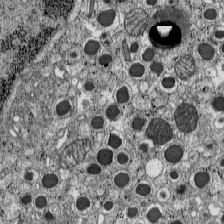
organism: C57BL Mouse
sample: Pancreatic islet